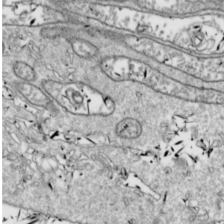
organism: Drosophila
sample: Cell division; meiosis; drosophila spermatocytes